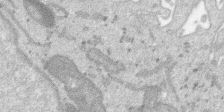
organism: Human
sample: Lung epithelial cells infected with SARS-CoV-2